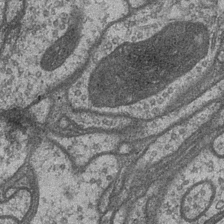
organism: Drosophila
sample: Optic medulla